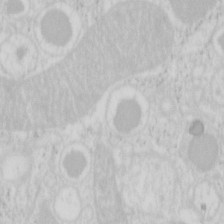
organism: Mouse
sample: Pancreas